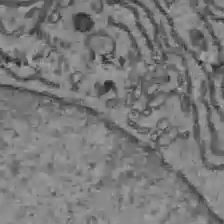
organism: C57BL Mouse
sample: Liver